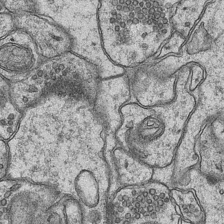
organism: Mouse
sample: CA1 Hippocampus